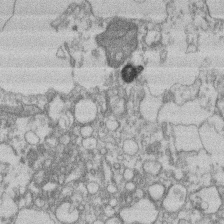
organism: Mouse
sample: T cell stromal cell synapse